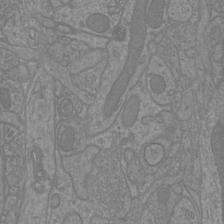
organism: Mouse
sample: Cortical neurons